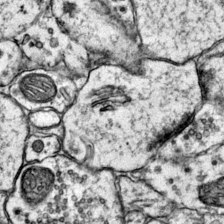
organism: Mouse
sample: Primary visual cortex